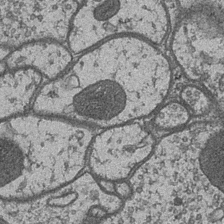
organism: Drosophila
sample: Optic medulla